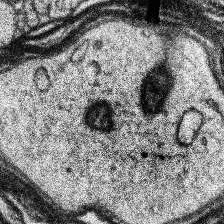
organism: Human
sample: Temporal Lobe